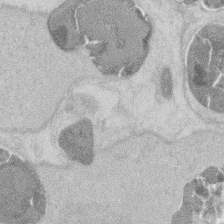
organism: Mouse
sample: T cell stromal cell synapse